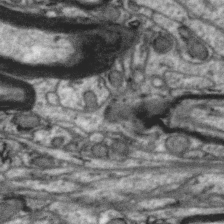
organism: Zebra finch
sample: Brain